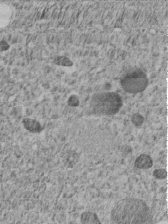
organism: C. elegans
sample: C. elegans embryo early stage